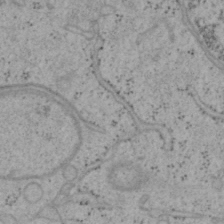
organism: Human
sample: HeLa cells